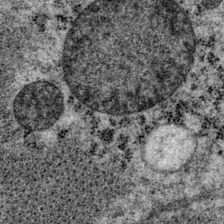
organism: P. pacificus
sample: Pharynx